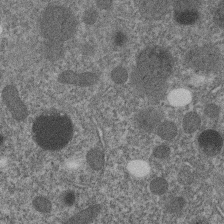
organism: C. elegans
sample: C. elegans embryo early stage